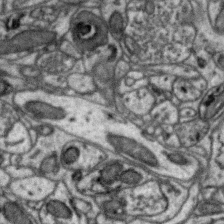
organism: Zebra finch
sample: Brain